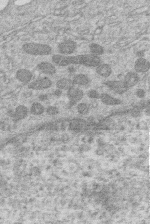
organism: Human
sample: Macrophage cells